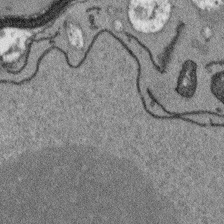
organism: Arabidopsis thaliana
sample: Root tip